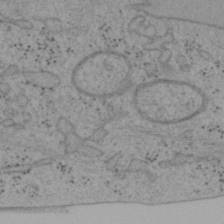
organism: Human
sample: HeLa cells